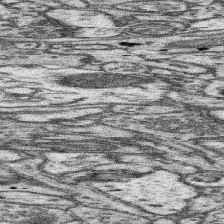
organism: Mouse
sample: Somatosensory cortex neuropil